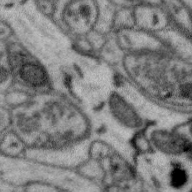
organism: Zebra finch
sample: Brain